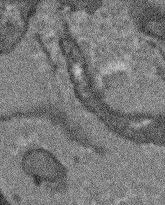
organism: Arabidopsis thaliana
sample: Root tip